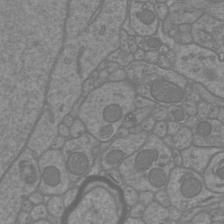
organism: Mouse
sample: Cortical neurons